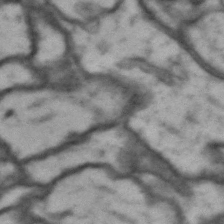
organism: Drosophila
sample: Brain